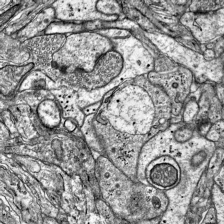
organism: Mouse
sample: Visual Cortex